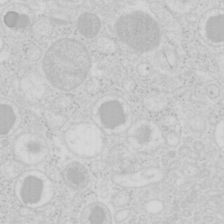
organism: Mouse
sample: Pancreas